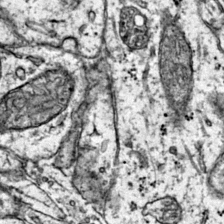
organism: Mouse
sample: Primary visual cortex